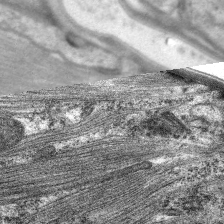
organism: C. elegans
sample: Pharynx